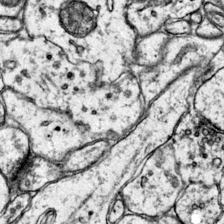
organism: Mouse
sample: Primary visual cortex